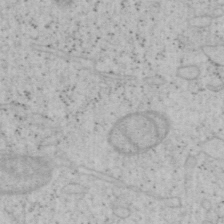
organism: Human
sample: HeLa cells